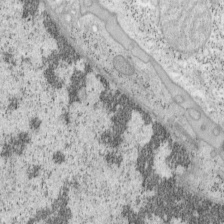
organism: Mouse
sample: OT-I killer T cells with ID8 ovarian cancer cells